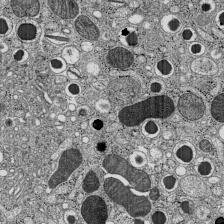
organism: C57BL Mouse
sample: Pancreatic islet